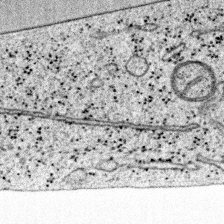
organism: Human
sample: HeLa cells